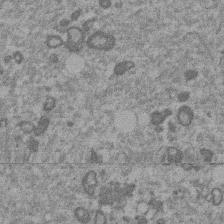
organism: Mouse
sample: Dividing mouse embryo 1 cell stage